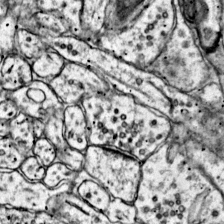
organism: Mouse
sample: Primary visual cortex